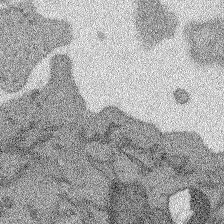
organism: Human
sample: HeLa cells